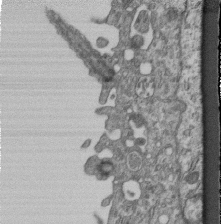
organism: Mouse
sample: Centriole in ependymal cells